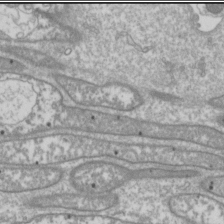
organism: Drosophila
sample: Cell division; meiosis; drosophila spermatocytes